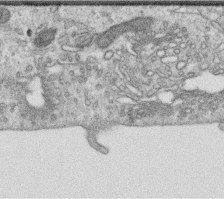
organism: Human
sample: Centriole in RPE cells